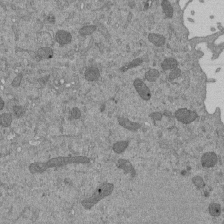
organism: Mouse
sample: ED-1 cell nuclei; centrioles